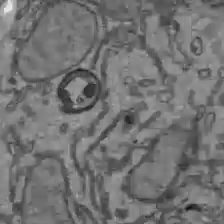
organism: C57BL Mouse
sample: Liver